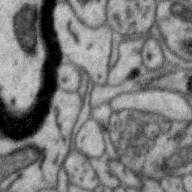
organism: Zebra finch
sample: Brain